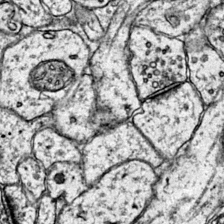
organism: Mouse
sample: Primary visual cortex